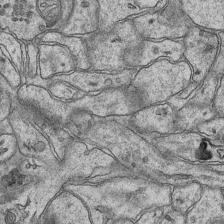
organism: Mouse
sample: CA1 Hippocampus